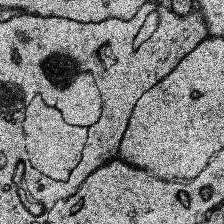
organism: Human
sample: Temporal Lobe